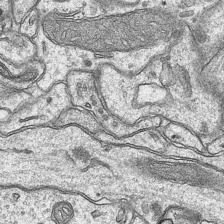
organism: Mouse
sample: CA1 Hippocampus